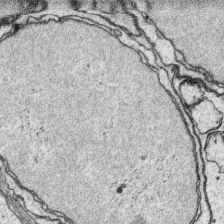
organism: Platynereis dumerilii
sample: Parapodia